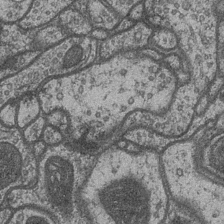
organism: Drosophila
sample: Optic medulla